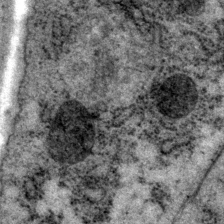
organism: P. pacificus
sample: Pharynx